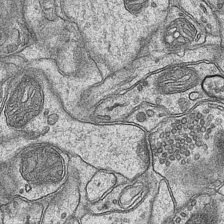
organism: Mouse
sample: CA1 Hippocampus